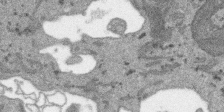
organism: Human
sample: Lung epithelial cells infected with SARS-CoV-2